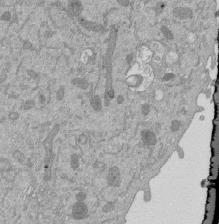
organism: Mouse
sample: ED-1 cell nuclei; centrioles